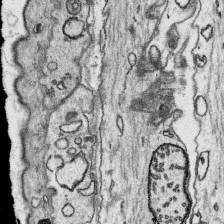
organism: Platynereis dumerilii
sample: Parapodia